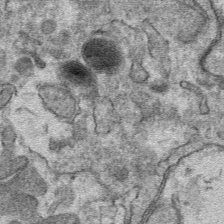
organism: Mouse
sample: Mouse hepatocytes